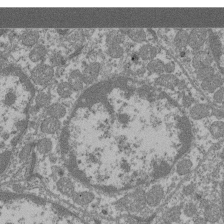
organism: Mouse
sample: Glomerulus